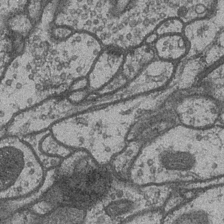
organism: Drosophila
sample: Optic medulla